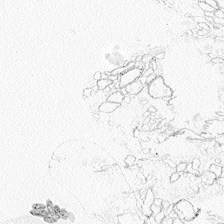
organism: Zebrafish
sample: Whole-Brain